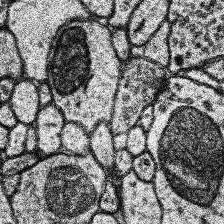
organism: Human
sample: Temporal Lobe